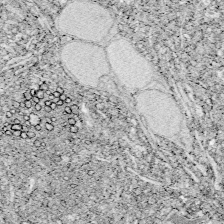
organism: Zebrafish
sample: Whole-Brain